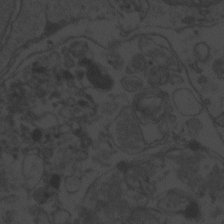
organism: Zebrafish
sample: Macrophage infected with Toxoplasma gondii